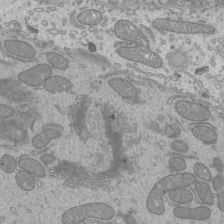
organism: Mouse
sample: Cilia; mouse epididymis